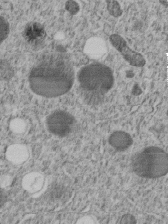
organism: C. elegans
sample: C. elegans embryo early stage